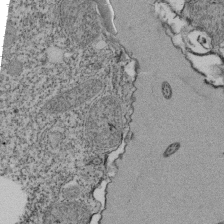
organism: Tetrahymena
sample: Cilia in tetrahymena